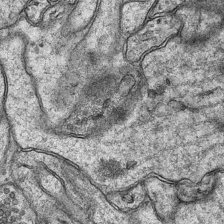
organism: Mouse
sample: CA1 Hippocampus